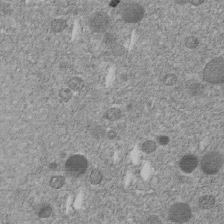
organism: C. elegans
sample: C. elegans embryo early stage